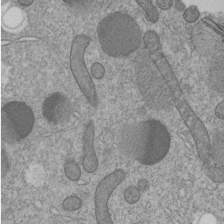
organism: C. elegans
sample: C. elegans embryo early stage